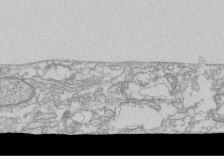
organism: Human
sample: CRL-1474